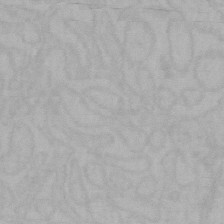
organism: Mouse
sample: Choroid plexus